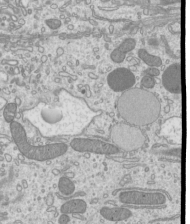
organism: Mouse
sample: Cilia; mouse epididymis